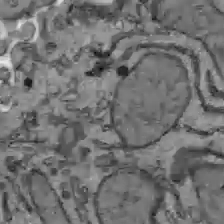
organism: C57BL Mouse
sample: Liver